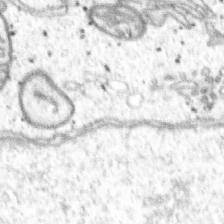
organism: Human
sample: HeLa cells